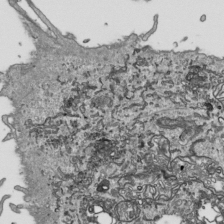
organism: Human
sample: Mitochondria in HCT116 cells